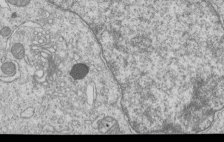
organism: Human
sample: MDA-MB-231 cells